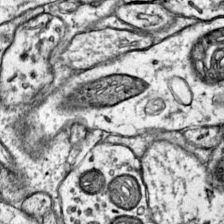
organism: Mouse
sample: Primary visual cortex